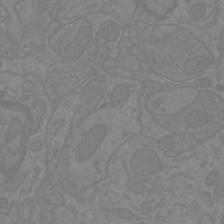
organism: Mouse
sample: Cortical neurons